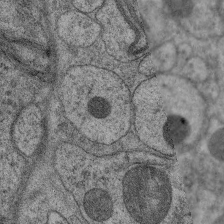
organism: C. elegans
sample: Pharynx